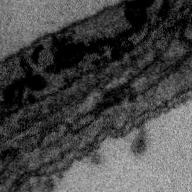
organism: Zebra finch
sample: Brain